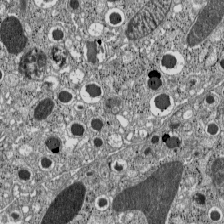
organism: C57BL Mouse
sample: Pancreatic islet